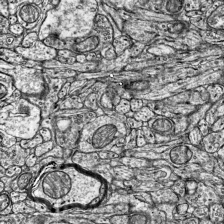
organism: Mouse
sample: Visual Cortex